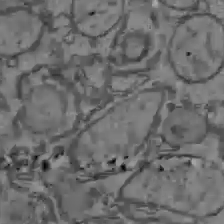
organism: C57BL Mouse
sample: Liver